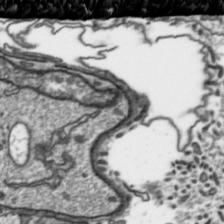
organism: Toxoplasma gondii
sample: Parasites in a vacuole inside a host cell